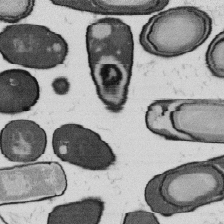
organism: B. subtilis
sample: Bacterial spore